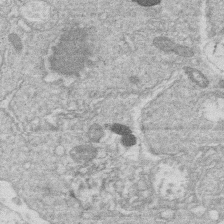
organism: Human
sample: Macrophage cells